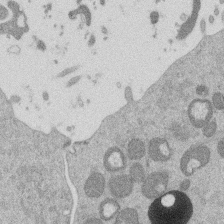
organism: Mouse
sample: Dividing mouse embryo 1 cell stage